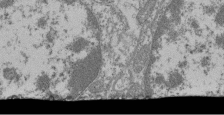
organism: Mouse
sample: Glomerulus